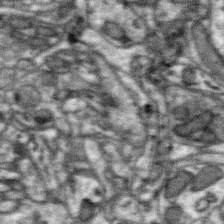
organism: Zebra finch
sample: Brain